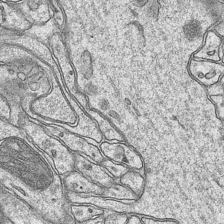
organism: Mouse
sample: CA1 Hippocampus